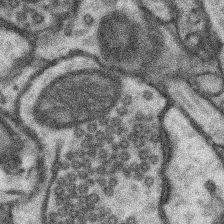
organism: Mouse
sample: Somatosensory cortex neuropil